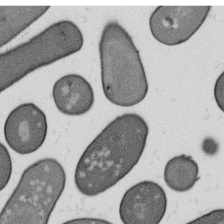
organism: B. subtilis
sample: Bacterial spore